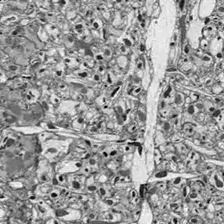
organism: Drosophila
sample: Optic lobe